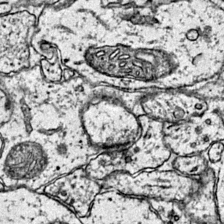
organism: Mouse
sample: Primary visual cortex